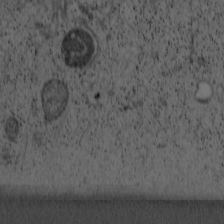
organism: African green monkey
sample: COS-7 cells